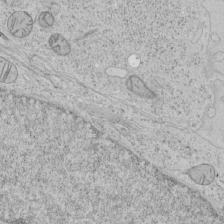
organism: Human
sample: Mitochondria in HCT116 cells